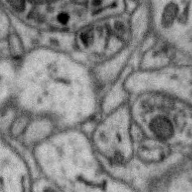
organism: Zebra finch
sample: Brain